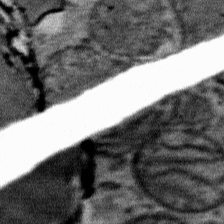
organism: Mouse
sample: Mouse Salivary gland